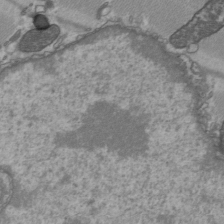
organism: C57BL Mouse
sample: Heart